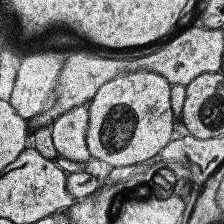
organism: Human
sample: Temporal Lobe